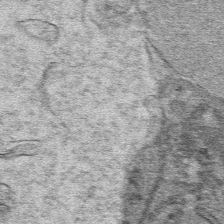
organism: Mouse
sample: Mouse hepatocytes